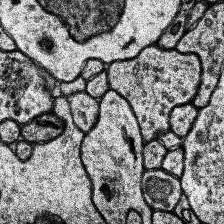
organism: Human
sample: Temporal Lobe